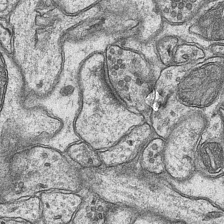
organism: Mouse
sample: CA1 Hippocampus